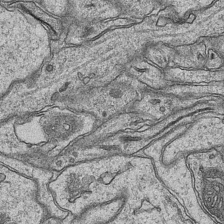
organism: Mouse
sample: CA1 Hippocampus